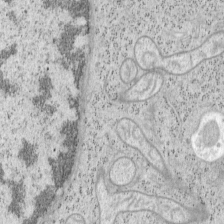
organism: Mouse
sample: OT-I killer T cells with ID8 ovarian cancer cells